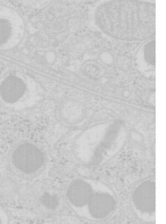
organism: Mouse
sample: Pancreas